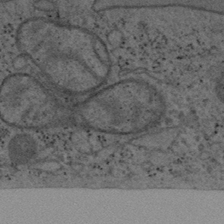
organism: Human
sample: HeLa cells